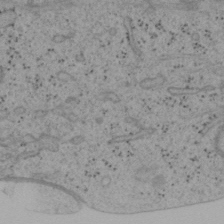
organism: Human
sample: HeLa cells